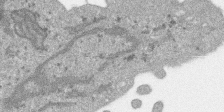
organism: Human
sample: Lung epithelial cells infected with SARS-CoV-2